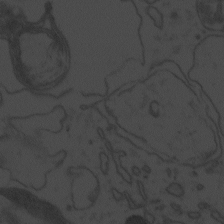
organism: Zebrafish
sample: Macrophage infected with Toxoplasma gondii